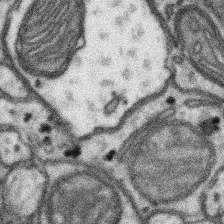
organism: Mouse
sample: Somatosensory cortex neuropil